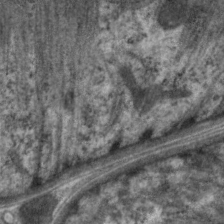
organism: C. elegans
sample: Pharynx